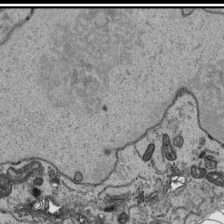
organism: Human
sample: Mitochondria in HCT116 cells